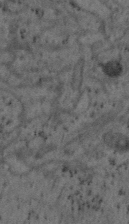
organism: Human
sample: HeLa cells